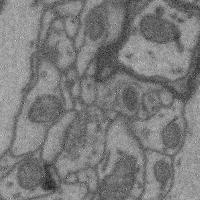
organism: Mouse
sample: Cerebral cortex